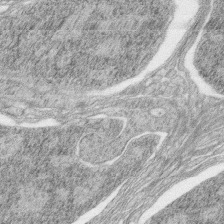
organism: Zebrafish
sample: synaptic ribbons in rod cells and cone cells